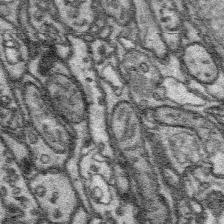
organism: Platynereis dumerilii